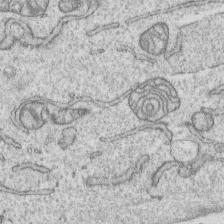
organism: Human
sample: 1205lu cells